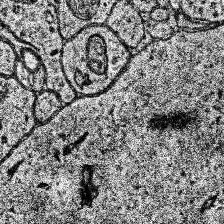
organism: Human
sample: Temporal Lobe